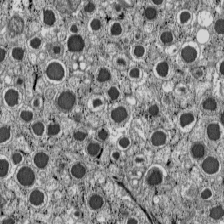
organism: C57BL Mouse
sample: Pancreatic islet